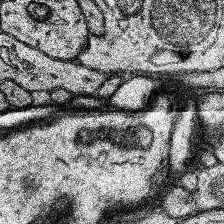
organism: Human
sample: Temporal Lobe